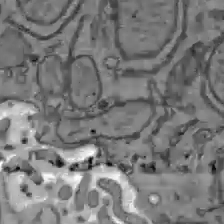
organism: C57BL Mouse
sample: Liver